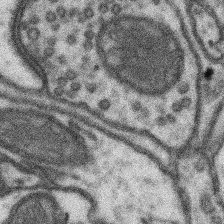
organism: Mouse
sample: Somatosensory cortex neuropil